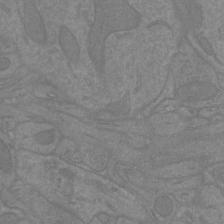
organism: Mouse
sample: Cortical neurons